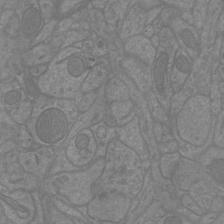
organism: Mouse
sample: Cortical neurons